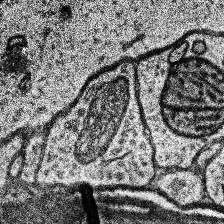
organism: Human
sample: Temporal Lobe